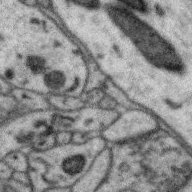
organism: Zebra finch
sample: Brain